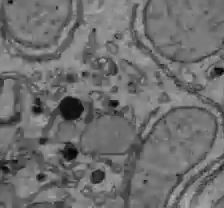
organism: C57BL Mouse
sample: Liver